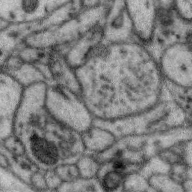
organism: Zebra finch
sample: Brain